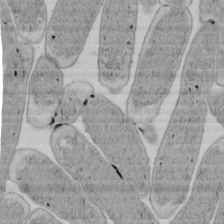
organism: E. coli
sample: Bacterial nucleoid